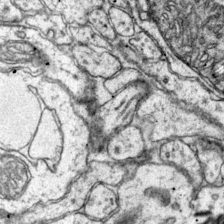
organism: Mouse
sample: Primary visual cortex